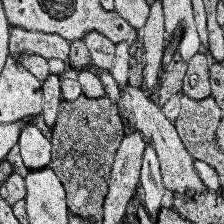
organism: Human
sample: Temporal Lobe